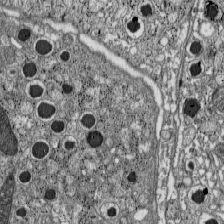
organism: C57BL Mouse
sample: Pancreatic islet